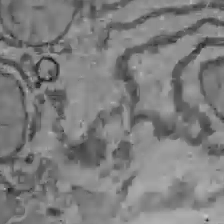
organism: C57BL Mouse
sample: Liver